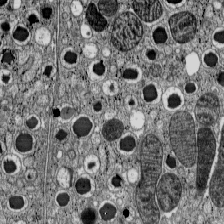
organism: C57BL Mouse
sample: Pancreatic islet